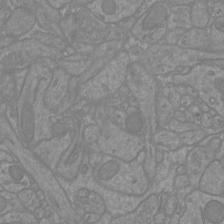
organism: Mouse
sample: Cortical neurons